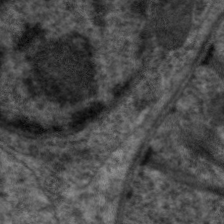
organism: C. elegans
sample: Pharynx